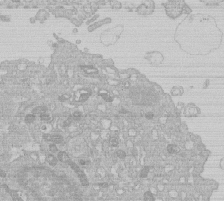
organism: Human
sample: Macrophage cells